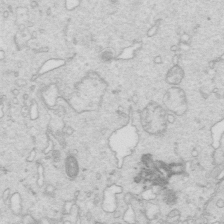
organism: Mouse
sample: Multiciliated cells